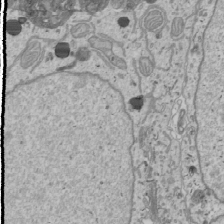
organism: Human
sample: Mitochondria in U2OS cells